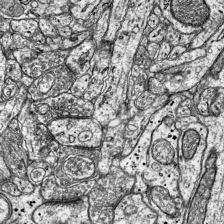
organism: Mouse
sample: Visual Cortex